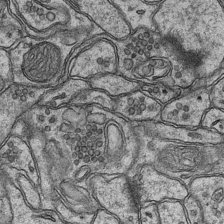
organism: Mouse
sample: CA1 Hippocampus